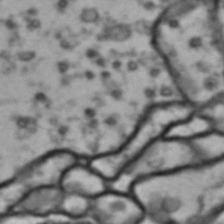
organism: Drosophila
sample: Brain